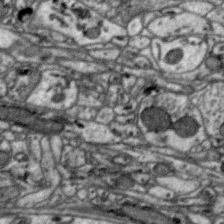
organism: Zebra finch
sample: Brain